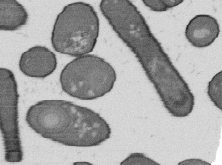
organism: B. subtilis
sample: Bacterial spore